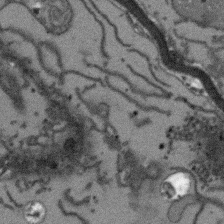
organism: Arabidopsis thaliana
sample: Root tip